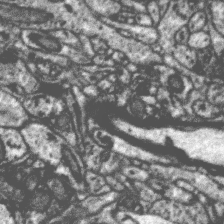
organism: Zebra finch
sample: Brain